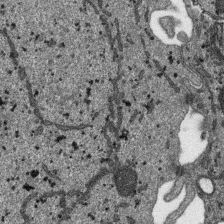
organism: Human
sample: Lung epithelial cells infected with SARS-CoV-2